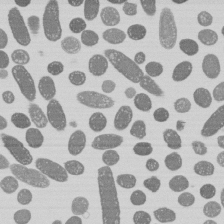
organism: E. coli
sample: Bacterial nucleoid